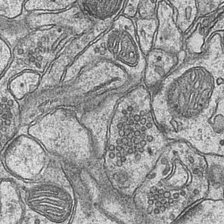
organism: Mouse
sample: CA1 Hippocampus